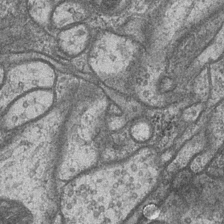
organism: Drosophila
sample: Optic medulla